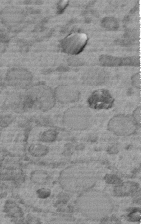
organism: C. elegans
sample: C. elegans embryo early stage